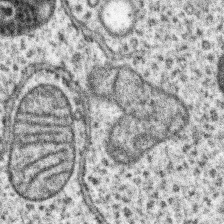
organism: Human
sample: HeLa cells